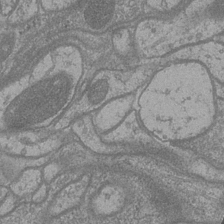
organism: Drosophila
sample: Optic medulla